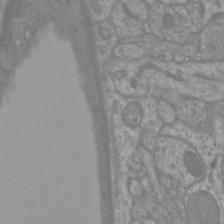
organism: Mouse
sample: Cortical neurons